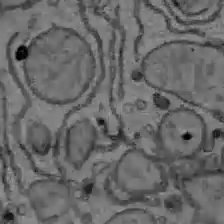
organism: C57BL Mouse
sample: Liver